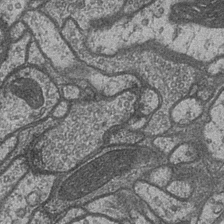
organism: Drosophila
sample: Optic medulla